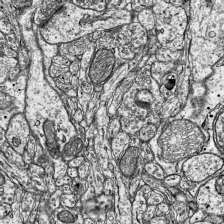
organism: Mouse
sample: Visual Cortex